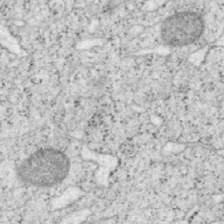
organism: Mouse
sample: OT-I killer T cells with ID8 ovarian cancer cells